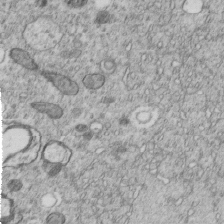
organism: C. elegans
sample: C. elegans embryo early stage